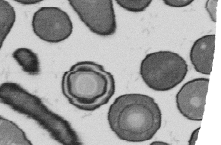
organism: B. subtilis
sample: Bacterial spore